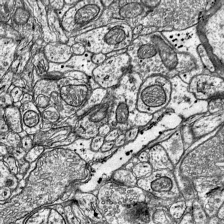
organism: Mouse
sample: Visual Cortex